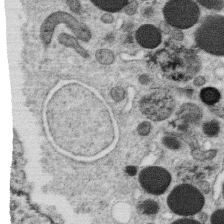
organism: C. elegans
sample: C. elegans oocyte; sperm cells